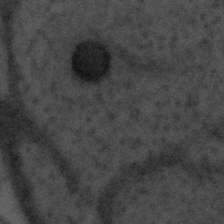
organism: Tuwongella immobilis